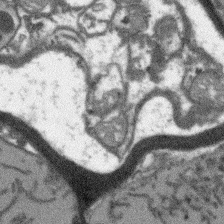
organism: Arabidopsis thaliana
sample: Root tip